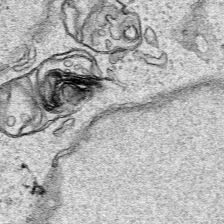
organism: Human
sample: Mitochondria in HCT116 cells